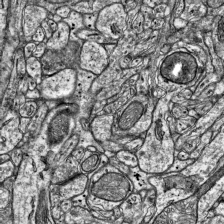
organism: Mouse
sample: Visual Cortex